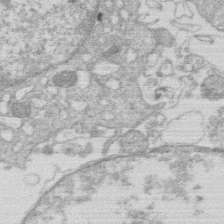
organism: Human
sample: Macrophage cells